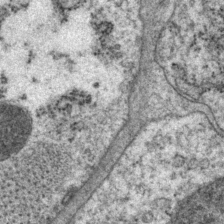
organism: P. pacificus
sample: Pharynx